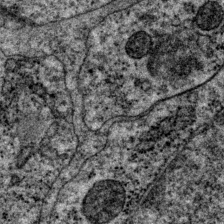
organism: P. pacificus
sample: Pharynx